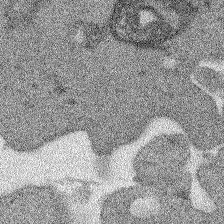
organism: Human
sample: HeLa cells